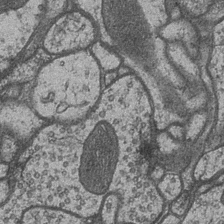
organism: Drosophila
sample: Optic medulla